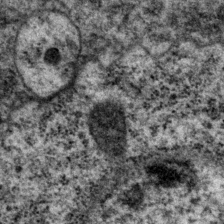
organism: P. pacificus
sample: Pharynx